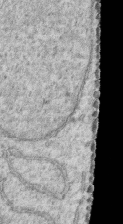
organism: Human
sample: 1205lu cells